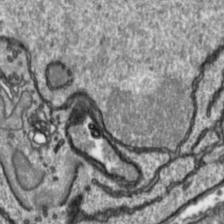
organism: Toxoplasma gondii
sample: Parasites in a vacuole inside a host cell